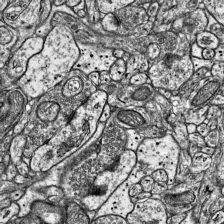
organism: Mouse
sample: Visual Cortex